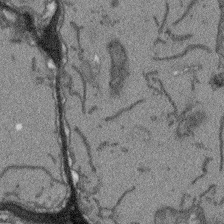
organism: Arabidopsis thaliana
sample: Root tip